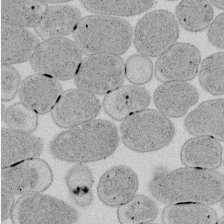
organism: E. coli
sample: Bacterial nucleoid